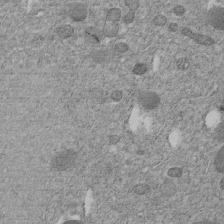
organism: C. elegans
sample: C. elegans embryo early stage